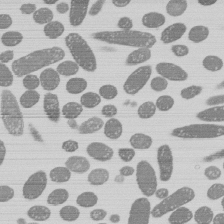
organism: E. coli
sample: Bacterial nucleoid